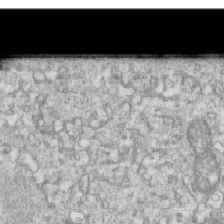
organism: Mouse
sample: Activated OT-1 CD8+ T cells